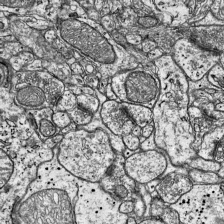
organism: Mouse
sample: Visual Cortex